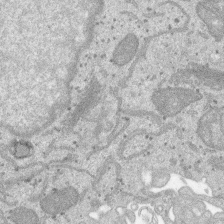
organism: Human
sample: Lung epithelial cells infected with SARS-CoV-2